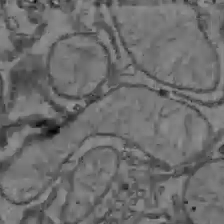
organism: C57BL Mouse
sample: Liver